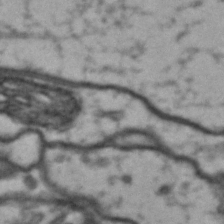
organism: Drosophila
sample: Brain